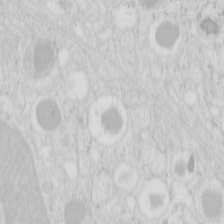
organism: Mouse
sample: Pancreas